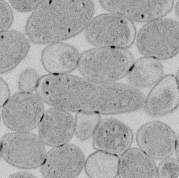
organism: E. coli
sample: Bacterial nucleoid